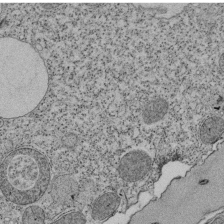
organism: Tetrahymena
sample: Cilia in tetrahymena